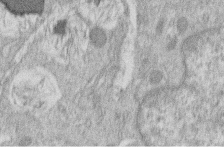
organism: Human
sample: Macrophage cells